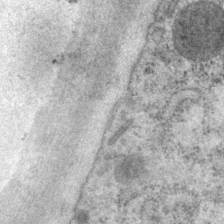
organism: P. pacificus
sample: Pharynx